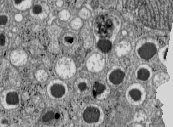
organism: C57BL Mouse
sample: Pancreatic islet